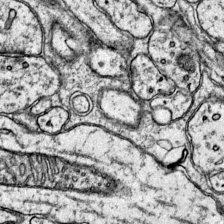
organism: Mouse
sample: Primary visual cortex